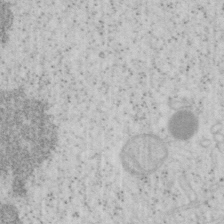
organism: Human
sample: HeLa cells